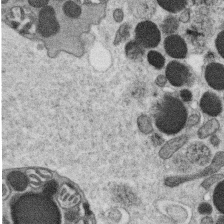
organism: C. elegans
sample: C. elegans oocyte; sperm cells